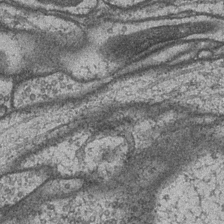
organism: Drosophila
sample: Optic medulla